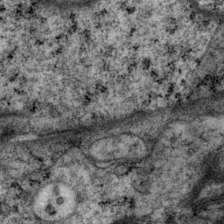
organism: P. pacificus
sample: Pharynx